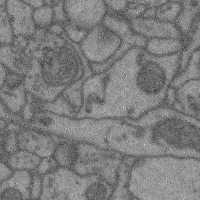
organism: Mouse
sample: Cerebral cortex